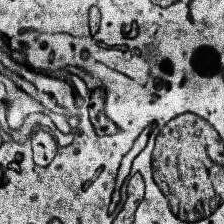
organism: Human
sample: Temporal Lobe